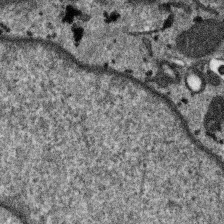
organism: Human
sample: Lung epithelial cells infected with SARS-CoV-2